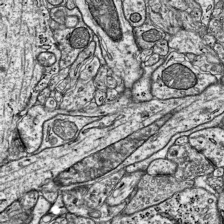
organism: Mouse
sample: Visual Cortex